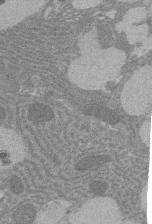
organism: Rat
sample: Salivary granule